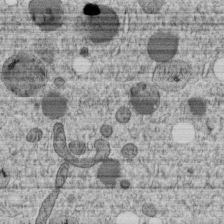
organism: C. elegans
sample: C. elegans embryo early stage